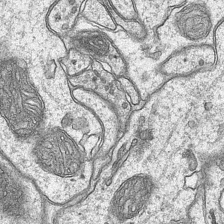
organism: Mouse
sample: CA1 Hippocampus